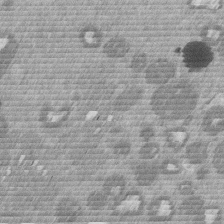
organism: Mouse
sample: Dividing mouse embryo 1 cell stage